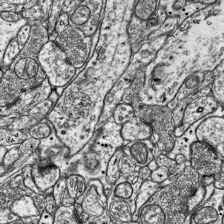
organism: Mouse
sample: Visual Cortex